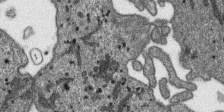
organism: Human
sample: Lung epithelial cells infected with SARS-CoV-2